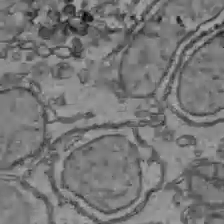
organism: C57BL Mouse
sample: Liver